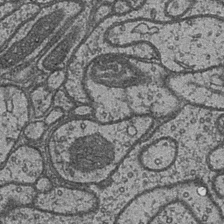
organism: Drosophila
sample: Optic medulla